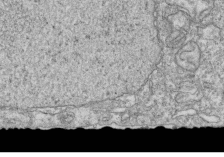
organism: Human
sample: HeLa cell HIV synapse